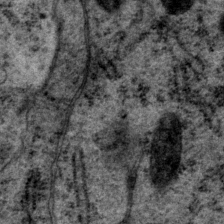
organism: P. pacificus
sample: Pharynx